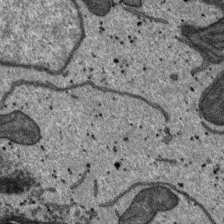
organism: Human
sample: Lung epithelial cells, uninfected (mock) control